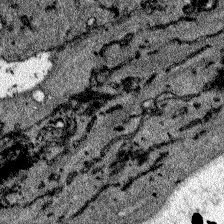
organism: Zebrafish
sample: Larval olfactory bulb